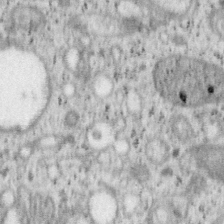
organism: Mouse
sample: OT-I killer T cells with ID8 ovarian cancer cells